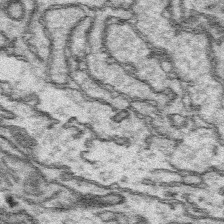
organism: Platynereis dumerilii